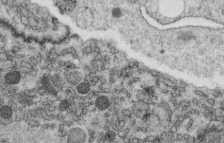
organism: C. elegans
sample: C. elegans oocyte; sperm cells